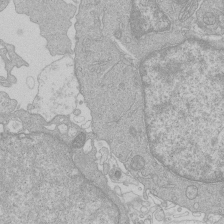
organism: Human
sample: Macrophage cells